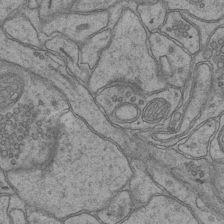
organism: Mouse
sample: CA1 Hippocampus